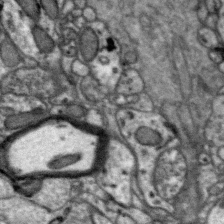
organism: Zebra finch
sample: Brain